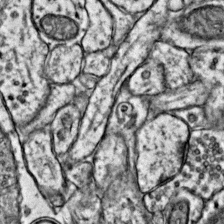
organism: Mouse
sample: Primary visual cortex